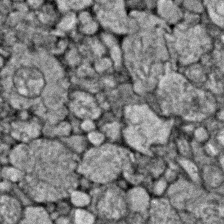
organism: Zebrafish